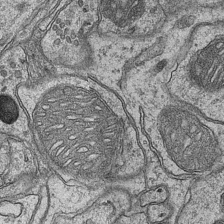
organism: Mouse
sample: CA1 Hippocampus